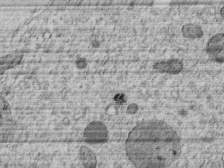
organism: C. elegans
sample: C. elegans embryo early stage